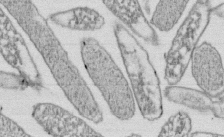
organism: E. coli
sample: Bacterial nucleoid